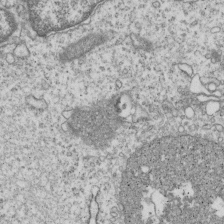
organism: Human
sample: MDA-MB-231 cells